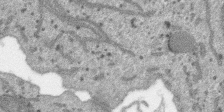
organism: Human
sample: Lung epithelial cells infected with SARS-CoV-2